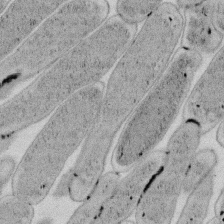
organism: E. coli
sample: Bacterial nucleoid